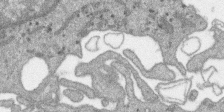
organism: Human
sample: Lung epithelial cells infected with SARS-CoV-2